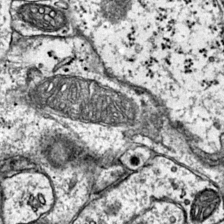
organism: Mouse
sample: Primary visual cortex